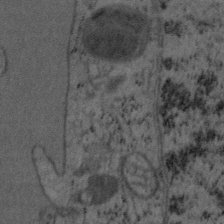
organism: Human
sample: HeLa cells